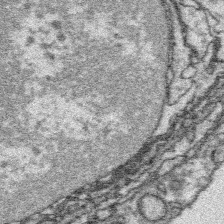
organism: Platynereis dumerilii